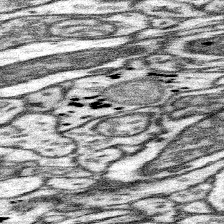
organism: Mouse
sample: Somatosensory cortex neuropil